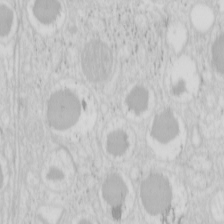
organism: Mouse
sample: Pancreas